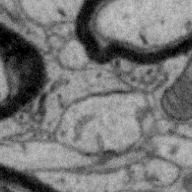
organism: Zebra finch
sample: Brain